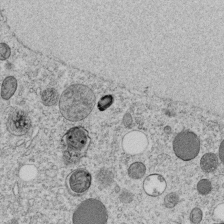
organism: C. elegans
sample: C. elegans embryo early stage